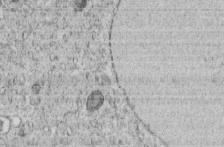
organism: C. elegans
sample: C. elegans embryo early stage